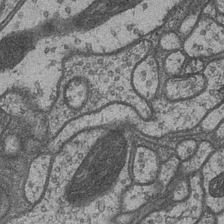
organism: Drosophila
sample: Optic medulla